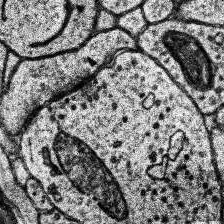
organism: Human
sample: Temporal Lobe